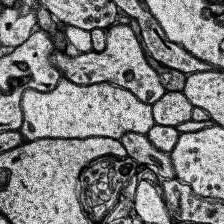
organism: Human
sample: Temporal Lobe